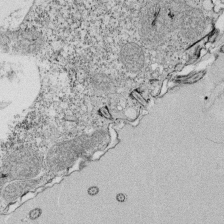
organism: Tetrahymena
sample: Cilia in tetrahymena